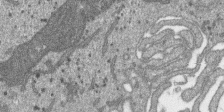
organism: Human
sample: Lung epithelial cells infected with SARS-CoV-2